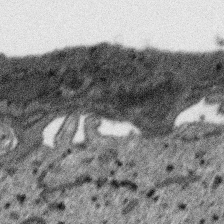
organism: Human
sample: Lung epithelial cells infected with SARS-CoV-2